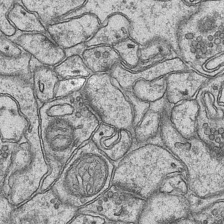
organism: Mouse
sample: CA1 Hippocampus